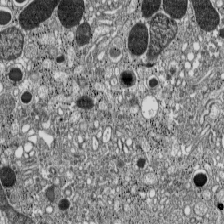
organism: C57BL Mouse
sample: Pancreatic islet